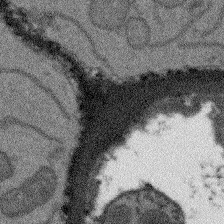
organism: Arabidopsis thaliana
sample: Root tip